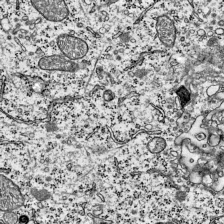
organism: Mouse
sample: Visual Cortex